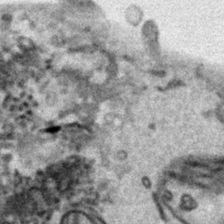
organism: Human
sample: Mitochondria in HCT116 cells